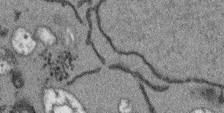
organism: Arabidopsis thaliana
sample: Root tip